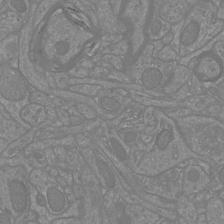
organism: Mouse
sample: Cortical neurons